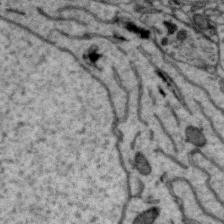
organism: Zebra finch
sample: Brain